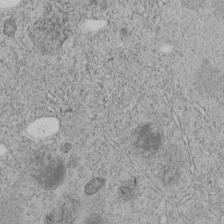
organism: C. elegans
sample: C. elegans embryo early stage